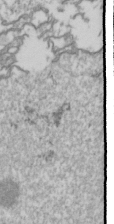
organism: Drosophila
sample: Cell division; meiosis; drosophila spermatocytes